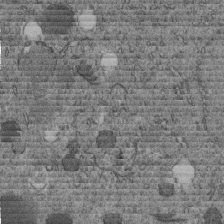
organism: C. elegans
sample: C. elegans embryo early stage